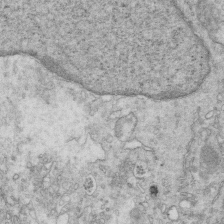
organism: Mouse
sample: Multiciliated cells